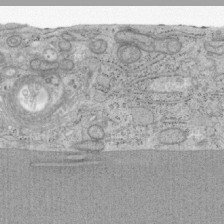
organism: Human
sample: HeLa cells